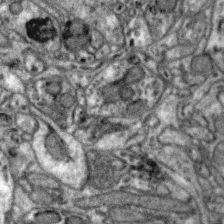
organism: Zebra finch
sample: Brain